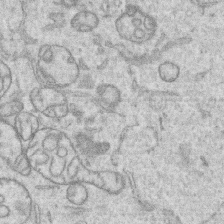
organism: Human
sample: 1205lu cells